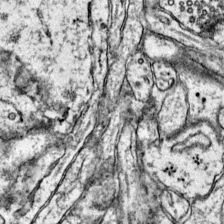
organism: Mouse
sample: Primary visual cortex